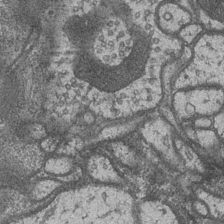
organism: Drosophila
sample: Optic medulla